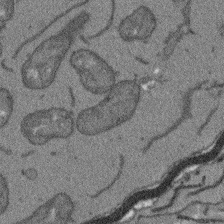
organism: Arabidopsis thaliana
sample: Root tip